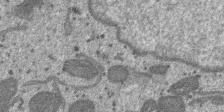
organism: Human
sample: Lung epithelial cells infected with SARS-CoV-2